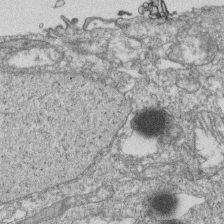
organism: Human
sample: HeLa cell HIV synapse